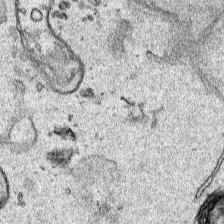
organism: Human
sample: Mitochondria in HCT116 cells